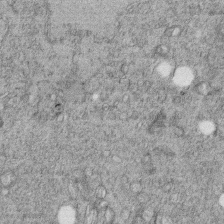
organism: C. elegans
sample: C. elegans embryo early stage